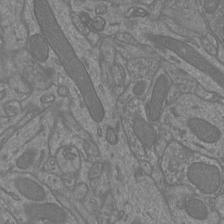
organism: Mouse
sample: Cortical neurons